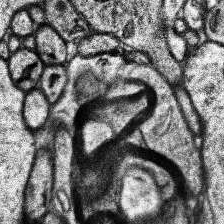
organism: Human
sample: Temporal Lobe